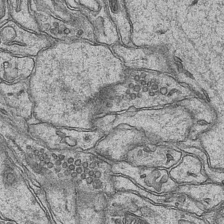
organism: Mouse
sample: CA1 Hippocampus